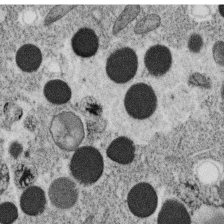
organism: C. elegans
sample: C. elegans oocyte; sperm cells